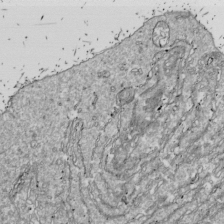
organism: Drosophila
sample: Cell division; meiosis; drosophila spermatocytes